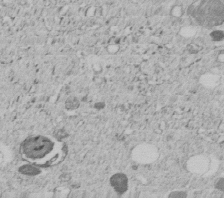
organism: C. elegans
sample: C. elegans embryo early stage